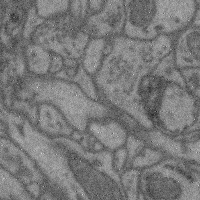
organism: Mouse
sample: Cerebral cortex